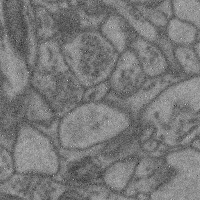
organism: Mouse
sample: Cerebral cortex